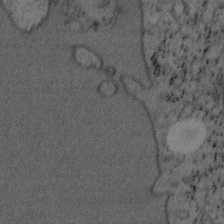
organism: Human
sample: HeLa cells